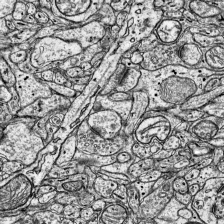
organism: Mouse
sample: Visual Cortex